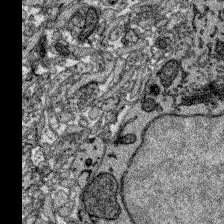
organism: Zebrafish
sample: Larval olfactory bulb